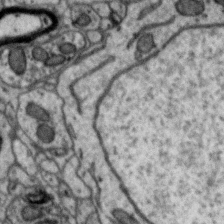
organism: Zebra finch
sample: Brain